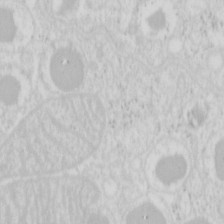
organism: Mouse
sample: Pancreas